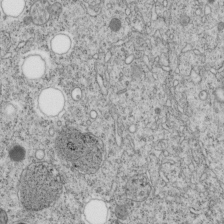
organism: C. elegans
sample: C. elegans embryo early stage